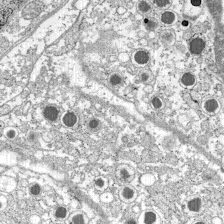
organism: C57BL Mouse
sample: Pancreatic islet